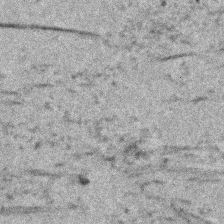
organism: Human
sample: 1205lu cells